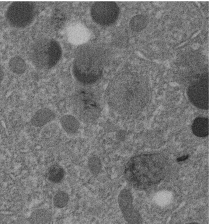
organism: C. elegans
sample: C. elegans embryo early stage